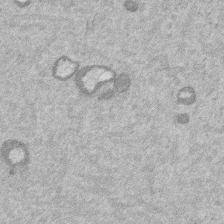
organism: Mouse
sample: Dividing mouse embryo 1 cell stage